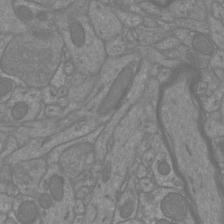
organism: Mouse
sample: Cortical neurons